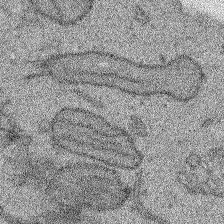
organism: Human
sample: HeLa cells